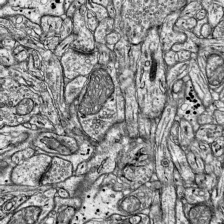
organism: Mouse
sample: Visual Cortex